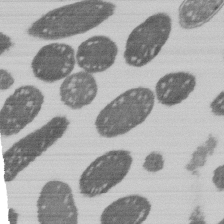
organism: E. coli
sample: Bacterial nucleoid